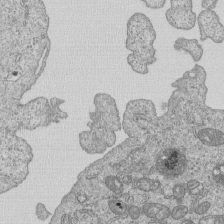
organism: Human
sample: MDA-MB-231 cells